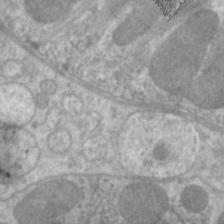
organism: C. elegans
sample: Pharynx